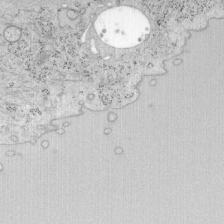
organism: Mouse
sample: OT-I killer T cells with ID8 ovarian cancer cells